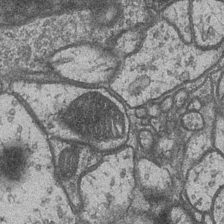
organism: Drosophila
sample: Optic medulla